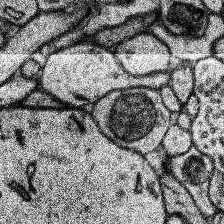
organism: Human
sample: Temporal Lobe